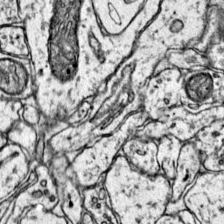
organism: Mouse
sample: Primary visual cortex